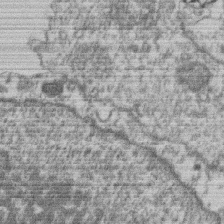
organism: Mouse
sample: T cell stromal cell synapse